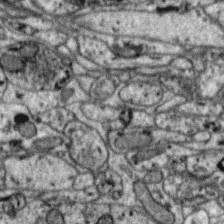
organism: Zebra finch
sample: Brain